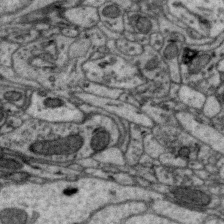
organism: Zebra finch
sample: Brain